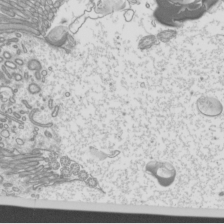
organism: Mouse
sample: Cilia; mouse epididymis